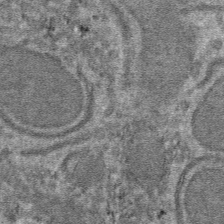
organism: Mouse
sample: Mouse hepatocytes